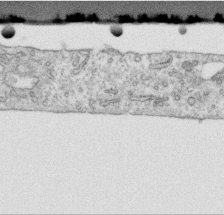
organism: Human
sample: Centriole in RPE cells